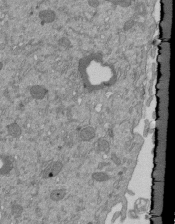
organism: Mouse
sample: ED-1 cell nuclei; centrioles